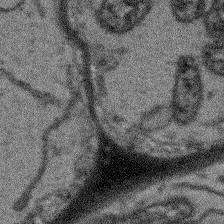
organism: Arabidopsis thaliana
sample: Root tip